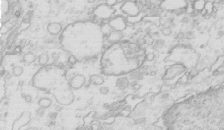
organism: Mouse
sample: Multiciliated cells